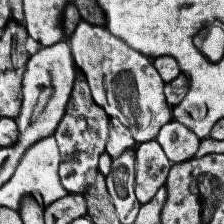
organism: Human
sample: Temporal Lobe